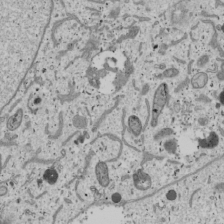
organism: Human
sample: Mitochondria in U2OS cells